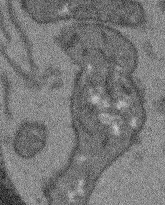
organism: Arabidopsis thaliana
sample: Root tip